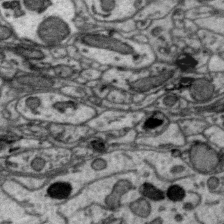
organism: Zebra finch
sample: Brain